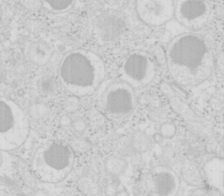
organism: Mouse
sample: Pancreas